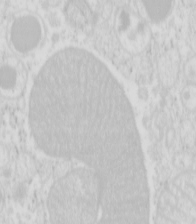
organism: Mouse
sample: Pancreas